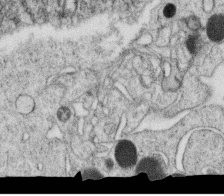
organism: C. elegans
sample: C. elegans oocyte; sperm cells